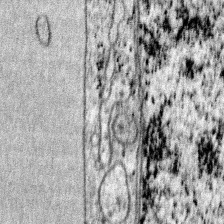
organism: Human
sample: HeLa cells